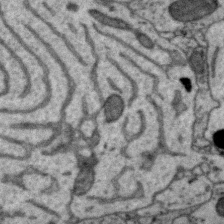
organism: Zebra finch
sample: Brain